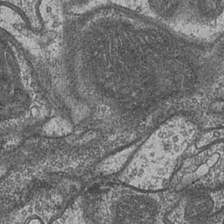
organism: Drosophila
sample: Optic medulla